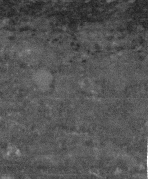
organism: Human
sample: Fibroblast cells